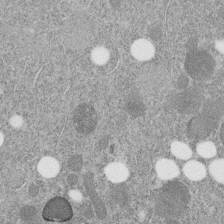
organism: C. elegans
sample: C. elegans embryo early stage